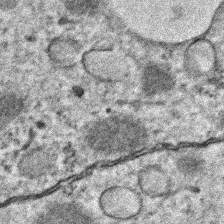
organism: Zebrafish